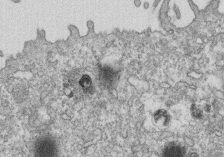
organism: Human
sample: HeLa cell HIV synapse